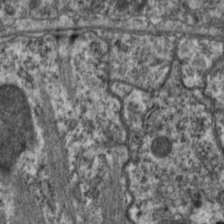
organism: C. elegans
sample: Pharynx